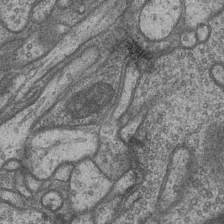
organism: Drosophila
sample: Optic medulla